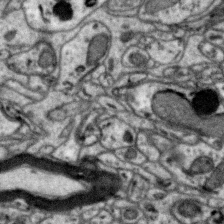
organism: Zebra finch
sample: Brain